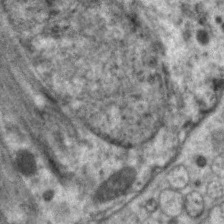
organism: C. elegans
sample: Pharynx